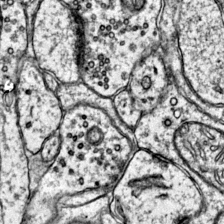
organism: Mouse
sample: Primary visual cortex